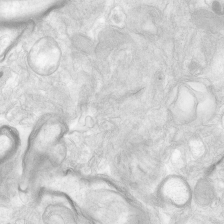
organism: Human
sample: Neocortex